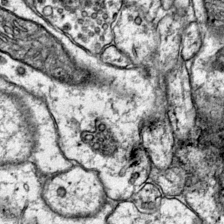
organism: Mouse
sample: Primary visual cortex